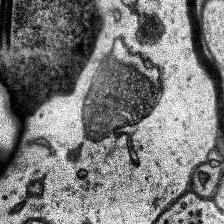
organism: Human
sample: Temporal Lobe